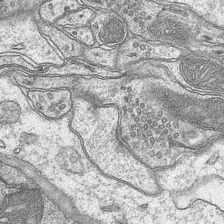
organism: Mouse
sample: CA1 Hippocampus